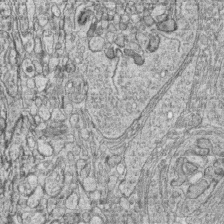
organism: Zebrafish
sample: synaptic ribbons in rod cells and cone cells